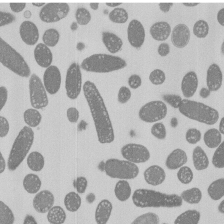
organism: E. coli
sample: Bacterial nucleoid